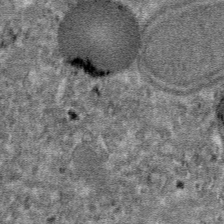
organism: Mouse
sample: Mouse hepatocytes